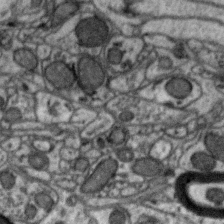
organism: Zebra finch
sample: Brain